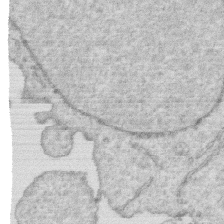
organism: Human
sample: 1205lu cells